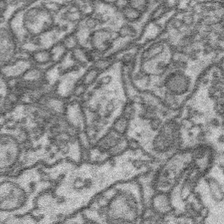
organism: Platynereis dumerilii